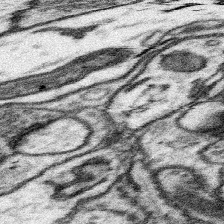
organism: Mouse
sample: Somatosensory cortex neuropil